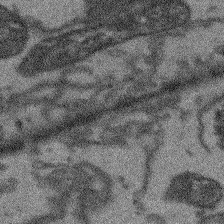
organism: Arabidopsis thaliana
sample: Root tip